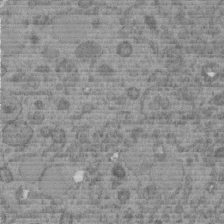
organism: C. elegans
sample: C. elegans embryo early stage